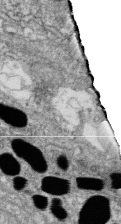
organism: Zebrafish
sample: Cilia; retinal pigment epithelium